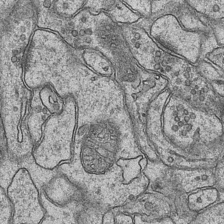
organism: Mouse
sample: CA1 Hippocampus